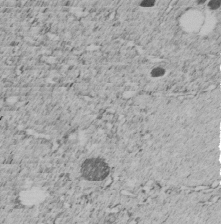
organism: C. elegans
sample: C. elegans embryo early stage